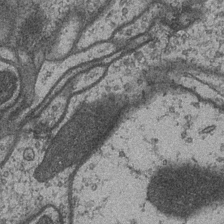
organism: Drosophila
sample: Optic medulla